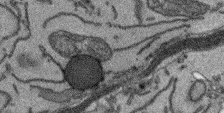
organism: Arabidopsis thaliana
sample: Root tip